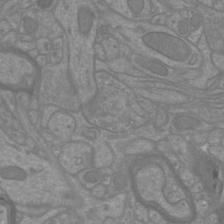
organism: Mouse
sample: Cortical neurons